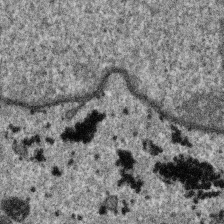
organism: Human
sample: Lung epithelial cells infected with SARS-CoV-2